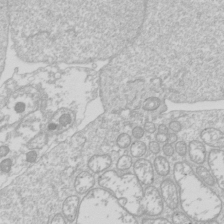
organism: Drosophila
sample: Cell division; meiosis; drosophila spermatocytes